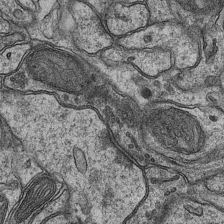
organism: Mouse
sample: CA1 Hippocampus